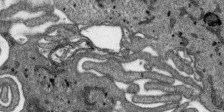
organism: Human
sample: Lung epithelial cells, uninfected (mock) control